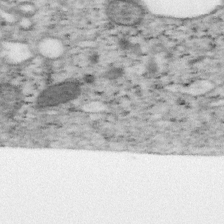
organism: Mouse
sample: OT-I killer T cells with ID8 ovarian cancer cells